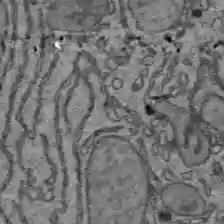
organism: C57BL Mouse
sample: Liver